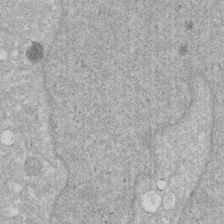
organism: Human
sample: HIV infected U937 cells